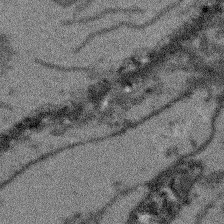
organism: Arabidopsis thaliana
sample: Root tip